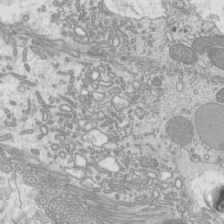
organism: Mouse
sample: Cilia; mouse epididymis